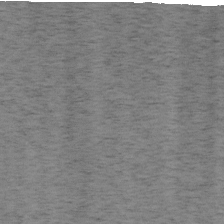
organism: Mouse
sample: OT-I killer T cells with ID8 ovarian cancer cells